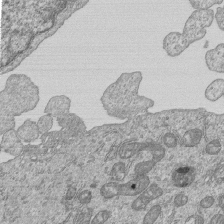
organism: Human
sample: MDA-MB-231 cells